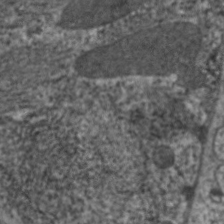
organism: C. elegans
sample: Pharynx